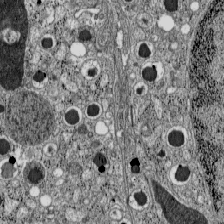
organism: C57BL Mouse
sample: Pancreatic islet